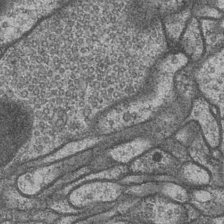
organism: Drosophila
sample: Optic medulla